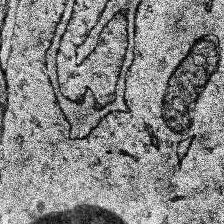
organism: Human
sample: Temporal Lobe